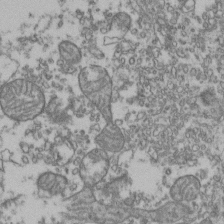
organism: Human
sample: Activated Jurkat CD4+ T cells